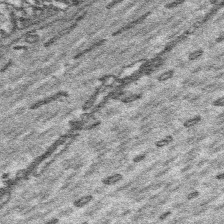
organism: Platynereis dumerilii